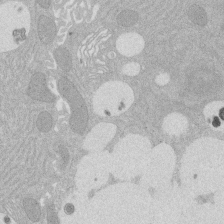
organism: Rat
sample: Salivary granule